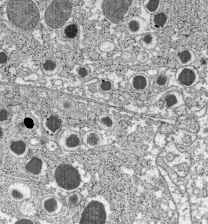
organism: C57BL Mouse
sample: Pancreatic islet